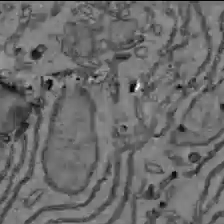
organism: C57BL Mouse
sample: Liver